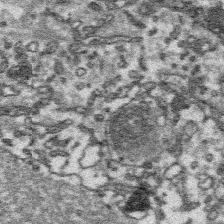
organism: Platynereis dumerilii